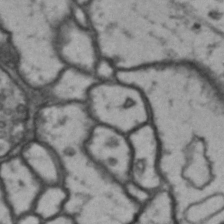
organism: Drosophila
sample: Brain